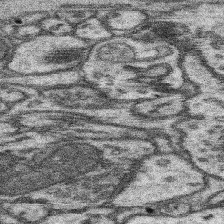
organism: Mouse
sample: Somatosensory cortex neuropil